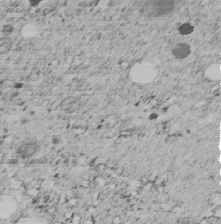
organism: C. elegans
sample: C. elegans embryo early stage